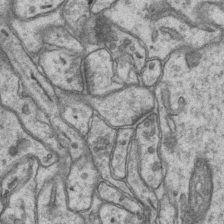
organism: Mouse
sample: CA1 Hippocampus